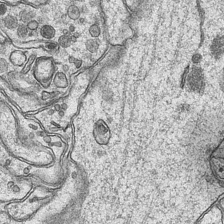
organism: Mouse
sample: CA1 Hippocampus